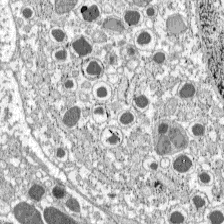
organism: C57BL Mouse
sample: Pancreatic islet